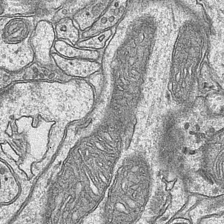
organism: Mouse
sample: CA1 Hippocampus